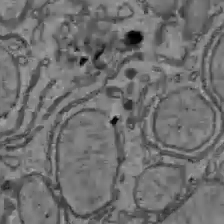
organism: C57BL Mouse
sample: Liver